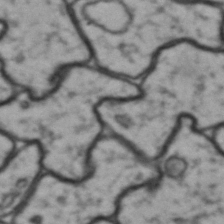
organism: Drosophila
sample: Brain